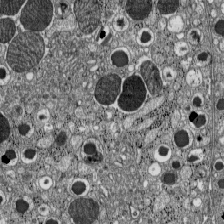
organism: C57BL Mouse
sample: Pancreatic islet